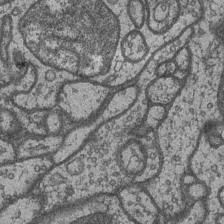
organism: Drosophila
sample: Optic medulla